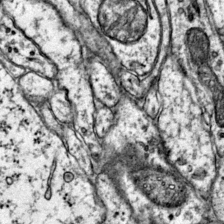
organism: Mouse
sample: Primary visual cortex